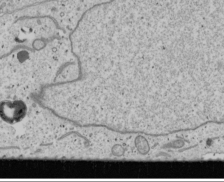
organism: Human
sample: Mitochondria in U2OS cells